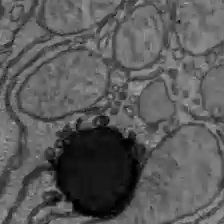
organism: C57BL Mouse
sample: Liver